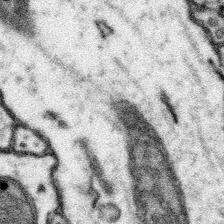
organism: Mouse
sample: Somatosensory cortex neuropil